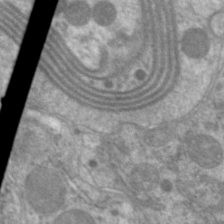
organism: C. elegans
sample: Pharynx